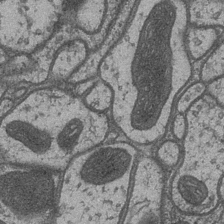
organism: Drosophila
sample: Optic medulla